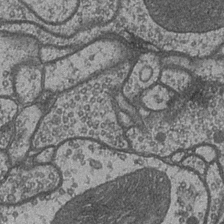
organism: Drosophila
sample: Optic medulla